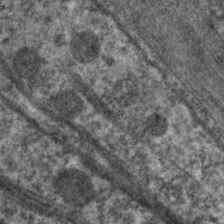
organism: C. elegans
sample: Pharynx